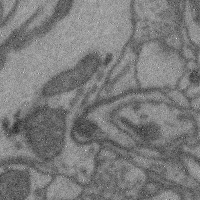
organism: Mouse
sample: Cerebral cortex